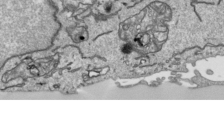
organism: Human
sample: Mitochondria in HCT116 cells